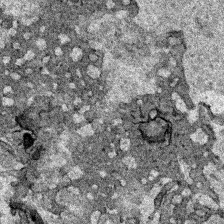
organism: Human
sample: Mitochondria in HCT116 cells